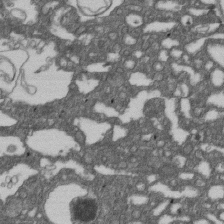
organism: Drosophila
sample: Nephrocyte